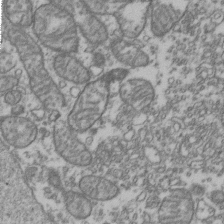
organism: Human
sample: Activated Jurkat CD4+ T cells